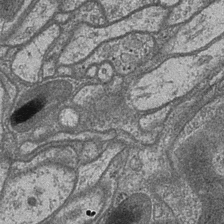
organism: Drosophila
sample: Optic medulla